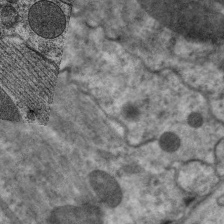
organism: C. elegans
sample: Pharynx